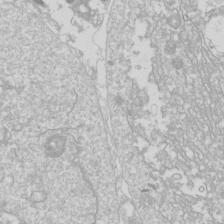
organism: Drosophila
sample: Cell division; meiosis; drosophila spermatocytes